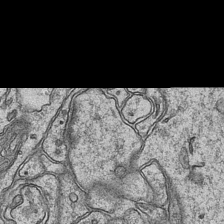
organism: Mouse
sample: CA1 Hippocampus